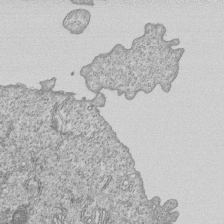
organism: Human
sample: MDA-MB-231 cells